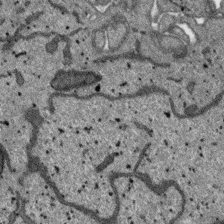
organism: Human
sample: Lung epithelial cells, uninfected (mock) control